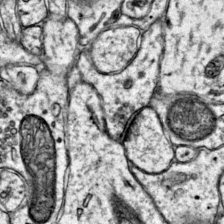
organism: Mouse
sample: Primary visual cortex